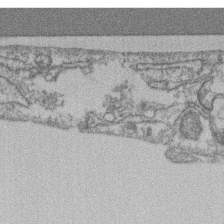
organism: Mouse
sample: T cell stromal cell synapse